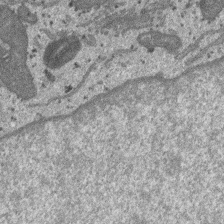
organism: Human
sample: Lung epithelial cells infected with SARS-CoV-2